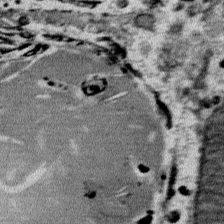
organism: Mouse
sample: Mouse Salivary gland